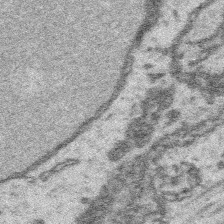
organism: Platynereis dumerilii